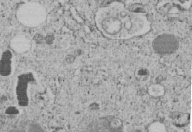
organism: C. elegans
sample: C. elegans embryo early stage